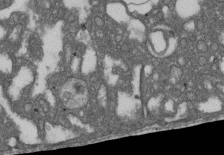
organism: Drosophila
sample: Nephrocyte